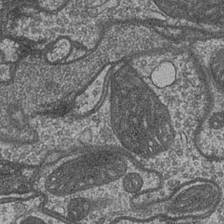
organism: Drosophila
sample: Optic medulla